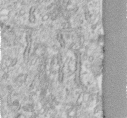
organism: Human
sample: Centriole in fibroblast cells